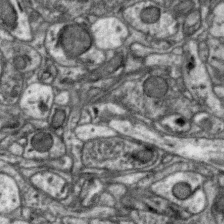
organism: Zebra finch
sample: Brain